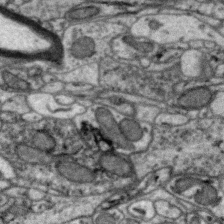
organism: Zebra finch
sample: Brain